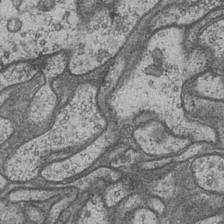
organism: Drosophila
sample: Optic medulla